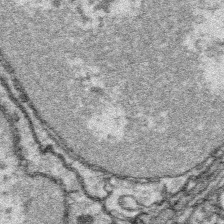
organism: Platynereis dumerilii